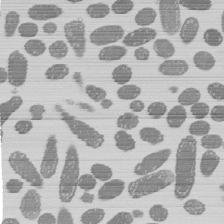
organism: E. coli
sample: Bacterial nucleoid